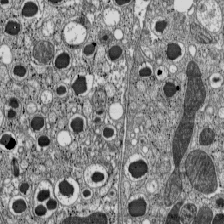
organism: C57BL Mouse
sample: Pancreatic islet